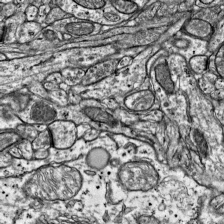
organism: Mouse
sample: Visual Cortex